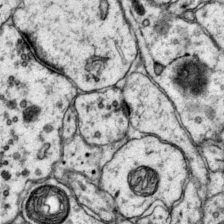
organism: Mouse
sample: Primary visual cortex